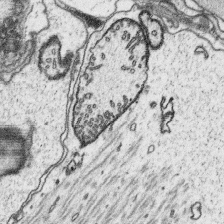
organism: Platynereis dumerilii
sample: Parapodia